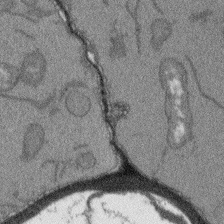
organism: Arabidopsis thaliana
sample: Root tip